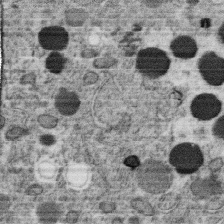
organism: C. elegans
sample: C. elegans oocyte; sperm cells